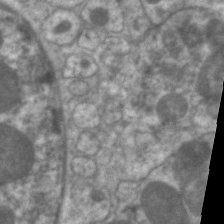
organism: C. elegans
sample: Pharynx